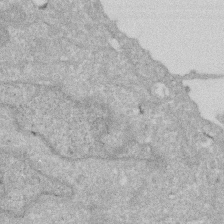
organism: Human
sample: HIV infected U937 cells